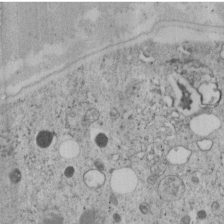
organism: C. elegans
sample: C. elegans embryo early stage